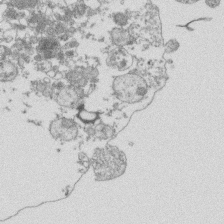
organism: Human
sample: HeLa cell HIV synapse